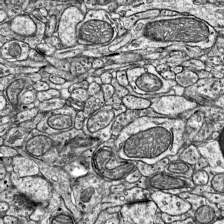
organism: Mouse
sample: Visual Cortex